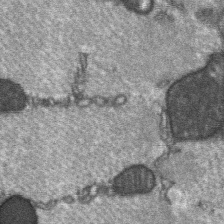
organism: C57BL Mouse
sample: Soleus